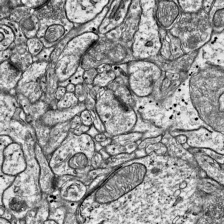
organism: Mouse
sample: Visual Cortex